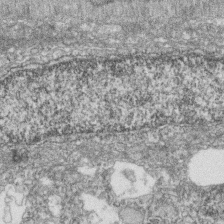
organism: Zebrafish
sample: Cilia; retinal pigment epithelium